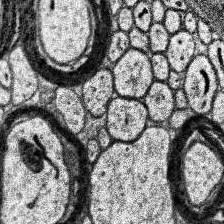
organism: Human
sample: Temporal Lobe